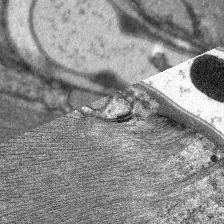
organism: C. elegans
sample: Pharynx